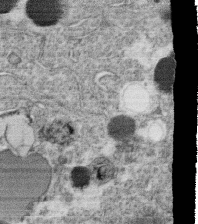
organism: C. elegans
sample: C. elegans oocyte; sperm cells